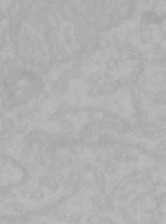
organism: Mouse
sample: Choroid plexus